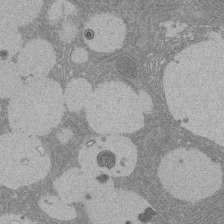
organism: Rat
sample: Salivary granule